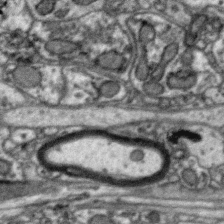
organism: Zebra finch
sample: Brain